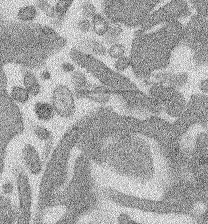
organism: Human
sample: HeLa cells